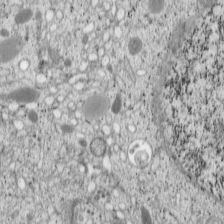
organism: African green monkey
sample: COS-7 cells